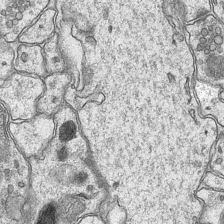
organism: Mouse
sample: CA1 Hippocampus